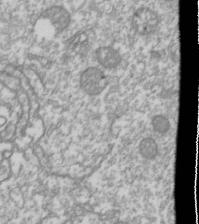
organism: Drosophila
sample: Cell division; meiosis; drosophila spermatocytes